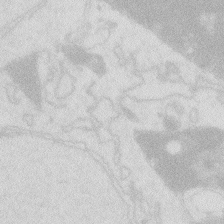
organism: Zebrafish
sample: Macrophage